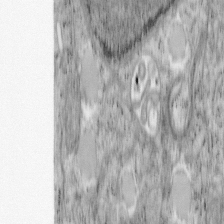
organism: Human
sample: HeLa cells